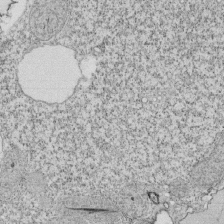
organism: Tetrahymena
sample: Cilia in tetrahymena